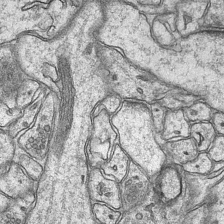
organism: Mouse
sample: CA1 Hippocampus